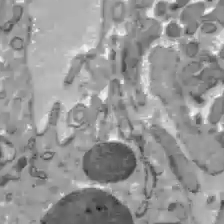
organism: C57BL Mouse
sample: Liver